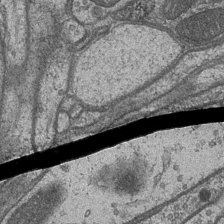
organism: Drosophila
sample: Optic medulla